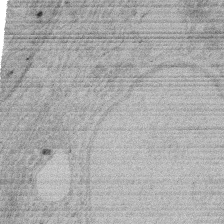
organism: Rat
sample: Salivary granule